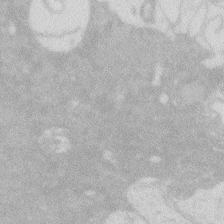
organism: Zebrafish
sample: Macrophage